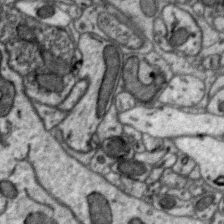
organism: Zebra finch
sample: Brain